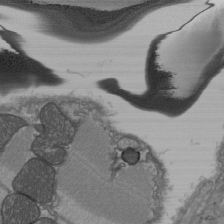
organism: C57BL Mouse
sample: Heart